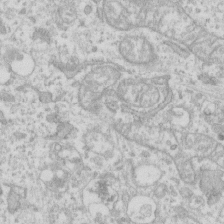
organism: Human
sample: Fibroblast cells